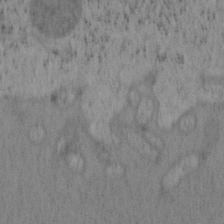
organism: Mouse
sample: OT-I killer T cells with ID8 ovarian cancer cells